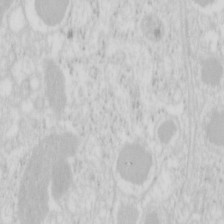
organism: Mouse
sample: Pancreas